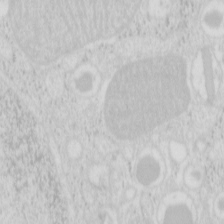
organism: Mouse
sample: Pancreas